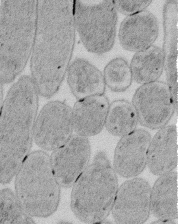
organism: E. coli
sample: Bacterial nucleoid